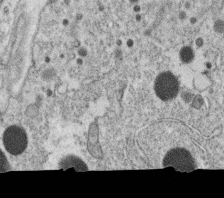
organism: C. elegans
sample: C. elegans oocyte; sperm cells